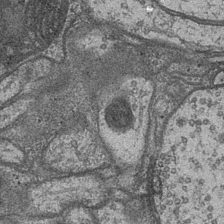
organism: Drosophila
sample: Optic medulla